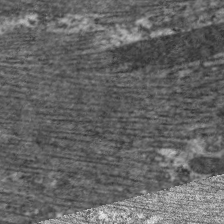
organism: C. elegans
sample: Pharynx